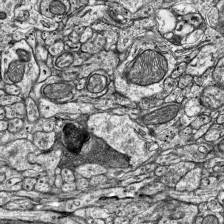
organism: Mouse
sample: Visual Cortex